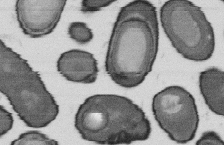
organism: B. subtilis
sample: Bacterial spore